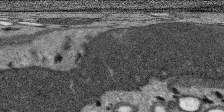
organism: Human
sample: Lung epithelial cells infected with SARS-CoV-2